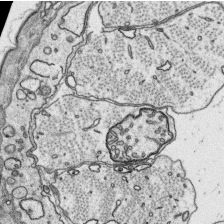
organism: Platynereis dumerilii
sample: Parapodia